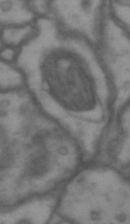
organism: Drosophila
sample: Brain